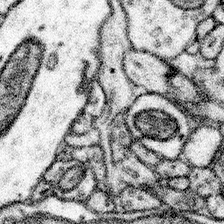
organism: Mouse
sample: Somatosensory cortex neuropil